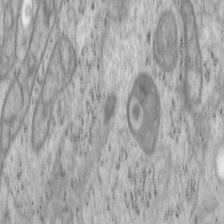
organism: Human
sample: HeLa cells